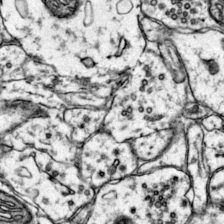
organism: Mouse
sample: Primary visual cortex